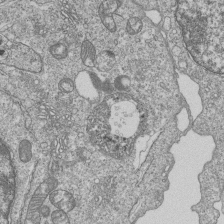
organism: Human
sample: MDA-MB-231 cells